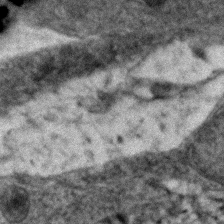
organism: Zebrafish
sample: Zebrafish embryo